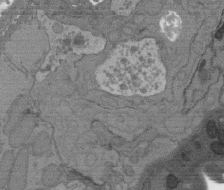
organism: C. elegans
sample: AFD neurons C. elegans